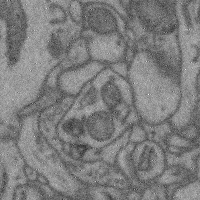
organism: Mouse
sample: Cerebral cortex